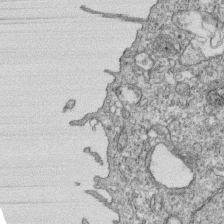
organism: Human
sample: HeLa cell HIV synapse